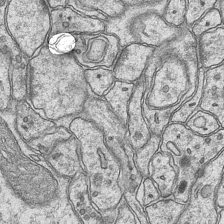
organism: Mouse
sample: CA1 Hippocampus